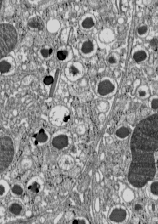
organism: C57BL Mouse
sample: Pancreatic islet